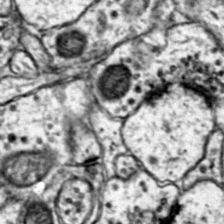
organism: Mouse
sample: Primary visual cortex